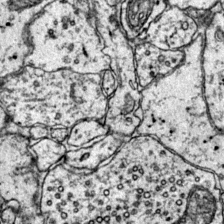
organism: Mouse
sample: Primary visual cortex